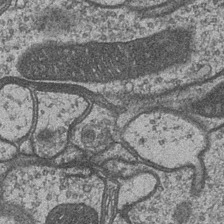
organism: Drosophila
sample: Optic medulla